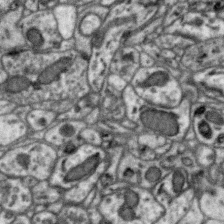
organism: Zebra finch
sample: Brain